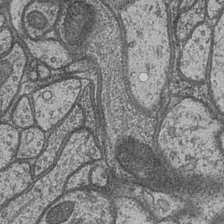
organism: Drosophila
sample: Optic medulla